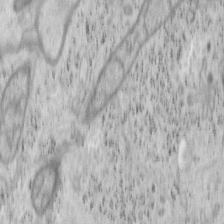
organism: Human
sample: HeLa cells